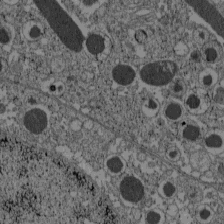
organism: C57BL Mouse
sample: Pancreatic islet